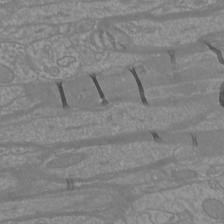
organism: Mouse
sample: Cortical neurons